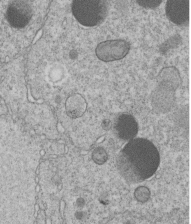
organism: C. elegans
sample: C. elegans embryo early stage